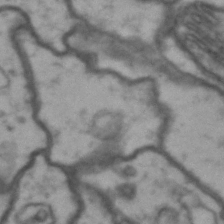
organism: Drosophila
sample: Brain